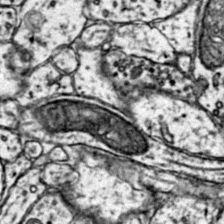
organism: Mouse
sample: Primary visual cortex